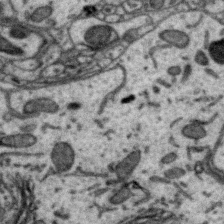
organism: Zebra finch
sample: Brain